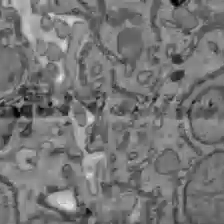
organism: C57BL Mouse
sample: Liver